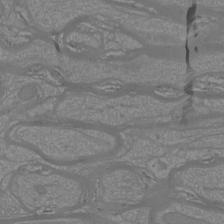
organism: Mouse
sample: Cortical neurons